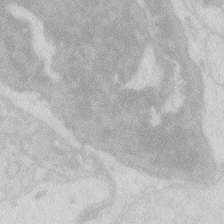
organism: Zebrafish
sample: Macrophage